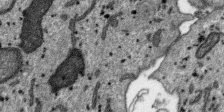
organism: Human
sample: Lung epithelial cells, uninfected (mock) control